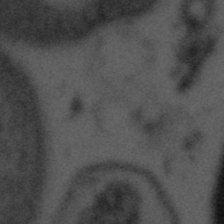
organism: Tuwongella immobilis